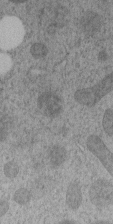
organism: C. elegans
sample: C. elegans embryo early stage